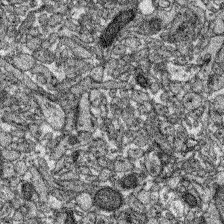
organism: Zebrafish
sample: Larval olfactory bulb